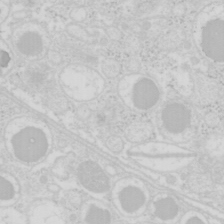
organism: Mouse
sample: Pancreas